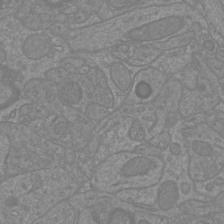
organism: Mouse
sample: Cortical neurons